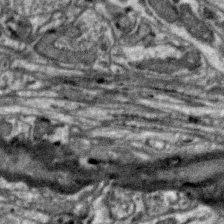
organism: Zebra finch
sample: Brain